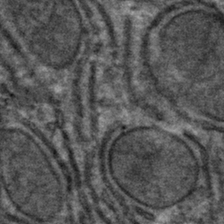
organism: Mouse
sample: Mouse hepatocytes